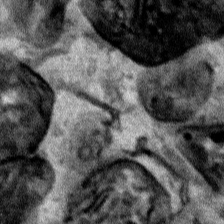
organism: Human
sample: Mitochondria in HCT116 cells